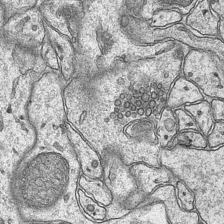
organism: Mouse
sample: CA1 Hippocampus